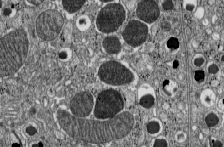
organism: C57BL Mouse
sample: Pancreatic islet